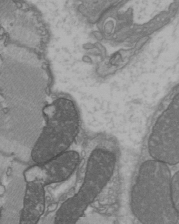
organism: C57BL Mouse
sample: Heart